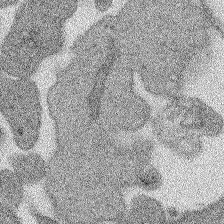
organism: Human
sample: HeLa cells